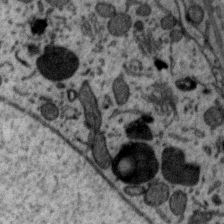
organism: Zebra finch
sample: Brain